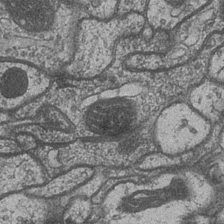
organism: Drosophila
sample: Optic medulla